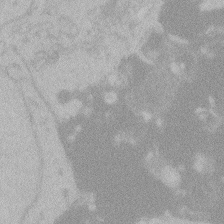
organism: Zebrafish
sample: Macrophage infected with Toxoplasma gondii